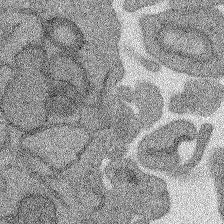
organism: Human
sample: HeLa cells